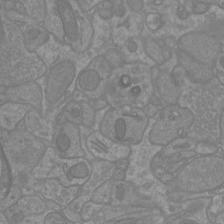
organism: Mouse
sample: Cortical neurons